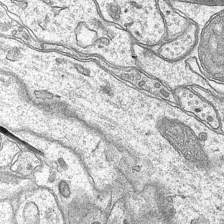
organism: Mouse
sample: CA1 Hippocampus